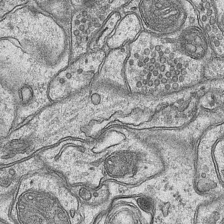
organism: Mouse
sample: CA1 Hippocampus